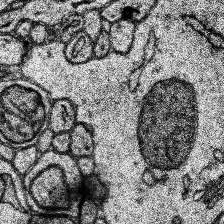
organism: Human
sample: Temporal Lobe